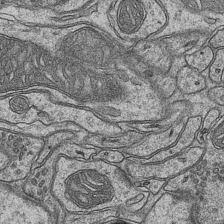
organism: Mouse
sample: CA1 Hippocampus